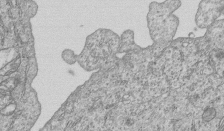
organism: Human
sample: MDA-MB-231 cells